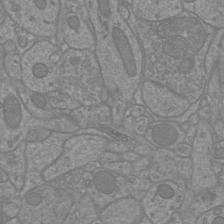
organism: Mouse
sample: Cortical neurons